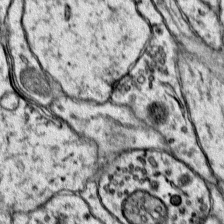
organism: Mouse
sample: Primary visual cortex